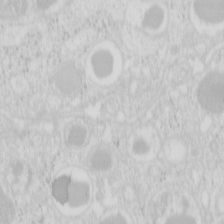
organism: Mouse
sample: Pancreas